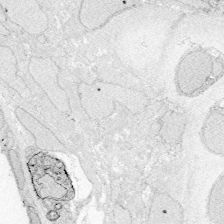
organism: Zebrafish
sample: Whole-Brain